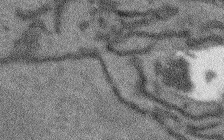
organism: Arabidopsis thaliana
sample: Root tip